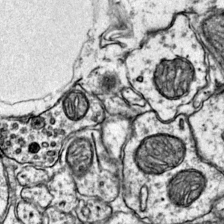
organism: Mouse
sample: Primary visual cortex